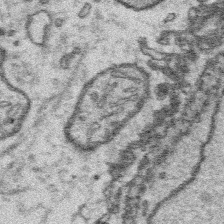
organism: Platynereis dumerilii